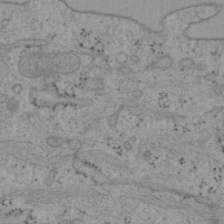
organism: Human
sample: HeLa cells